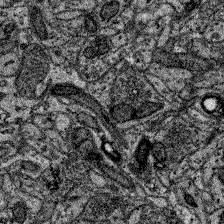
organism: Zebrafish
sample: Larval olfactory bulb